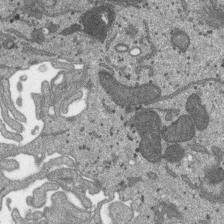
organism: Human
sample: Lung epithelial cells infected with SARS-CoV-2